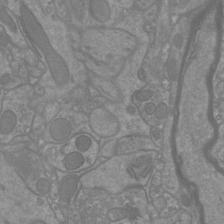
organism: Mouse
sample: Cortical neurons